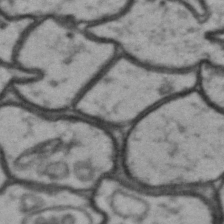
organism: Drosophila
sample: Brain